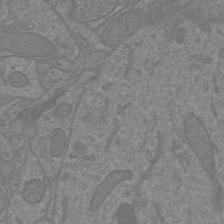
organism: Mouse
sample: Cortical neurons